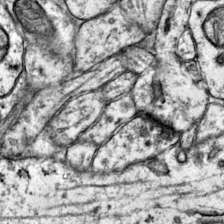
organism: Mouse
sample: Primary visual cortex